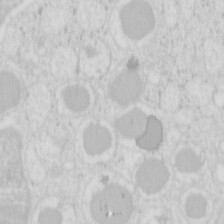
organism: Mouse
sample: Pancreas